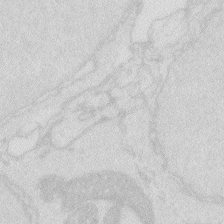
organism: Zebrafish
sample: Macrophage